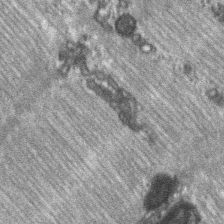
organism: C57BL Mouse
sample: Soleus